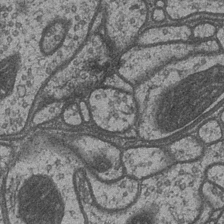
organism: Drosophila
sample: Optic medulla